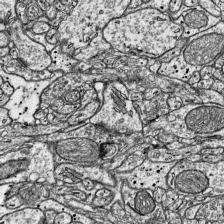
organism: Mouse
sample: Visual Cortex